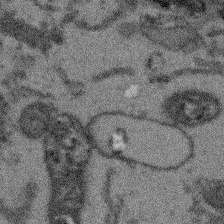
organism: Arabidopsis thaliana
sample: Root tip